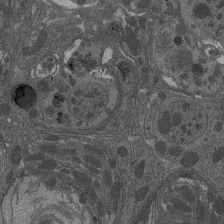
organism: Drosophila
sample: Antenna